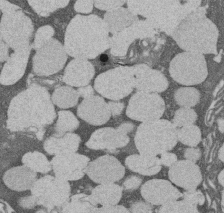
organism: Rat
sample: Salivary granule